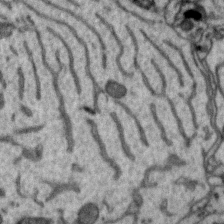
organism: Zebra finch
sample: Brain